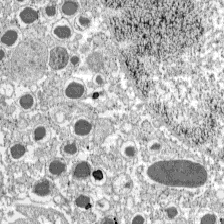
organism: C57BL Mouse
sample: Pancreatic islet